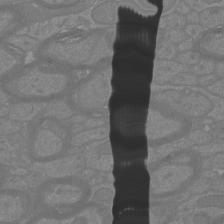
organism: Mouse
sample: Cortical neurons